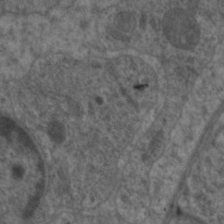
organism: C. elegans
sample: Pharynx